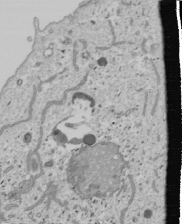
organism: Human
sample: Mitochondria in U2OS cells